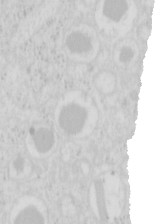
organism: Mouse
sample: Pancreas